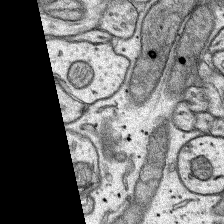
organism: Rat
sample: Hippocampus